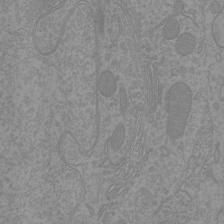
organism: Mouse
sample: Cortical neurons